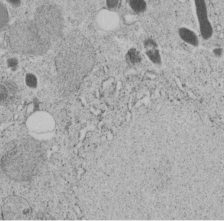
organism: C. elegans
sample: C. elegans embryo early stage